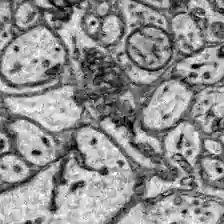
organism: Zebrafish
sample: Brain